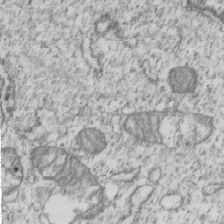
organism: Human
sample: MDA-MB-231 cells